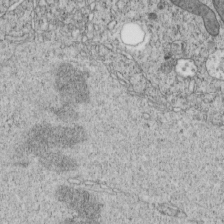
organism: C. elegans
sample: C. elegans embryo early stage